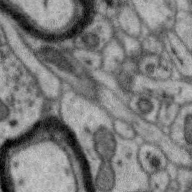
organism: Zebra finch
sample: Brain